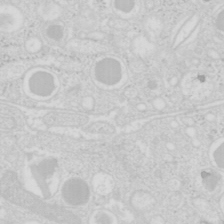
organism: Mouse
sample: Pancreas